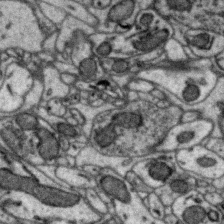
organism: Zebra finch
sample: Brain